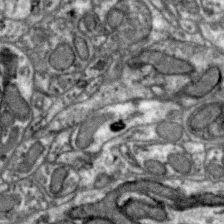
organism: Zebra finch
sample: Brain